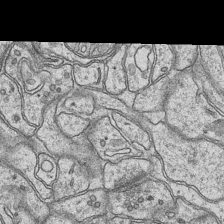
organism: Mouse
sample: CA1 Hippocampus